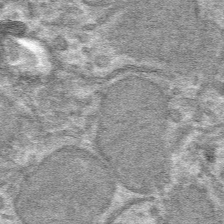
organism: Mouse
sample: Mouse hepatocytes